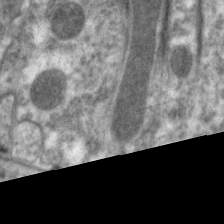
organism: C. elegans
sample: Pharynx